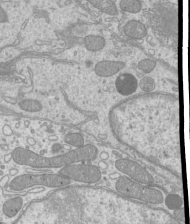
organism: Mouse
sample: Cilia; mouse epididymis